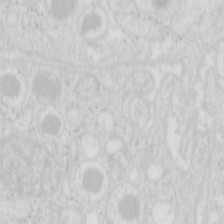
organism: Mouse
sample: Pancreas